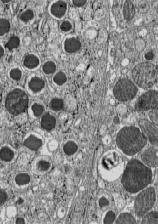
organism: C57BL Mouse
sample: Pancreatic islet